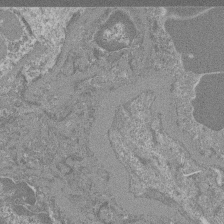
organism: Mouse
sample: Glomerulus